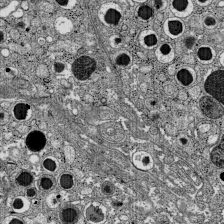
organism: C57BL Mouse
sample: Pancreatic islet